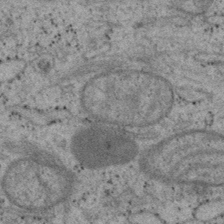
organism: Human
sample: HeLa cells